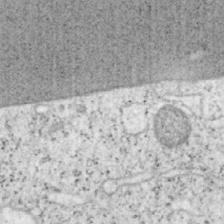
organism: Mouse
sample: OT-I killer T cells with ID8 ovarian cancer cells